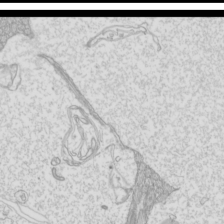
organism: Mouse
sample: Cilia; mouse epididymis